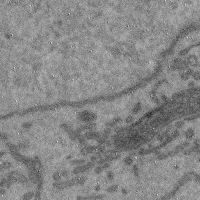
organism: Mouse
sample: Cerebral cortex